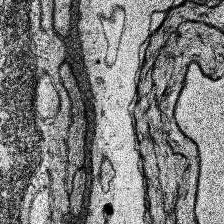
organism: Human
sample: Temporal Lobe